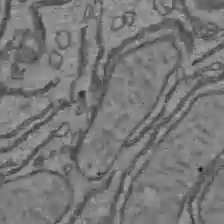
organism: C57BL Mouse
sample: Liver